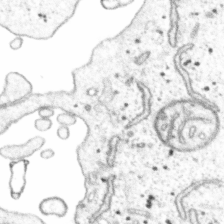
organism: Human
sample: HeLa cells